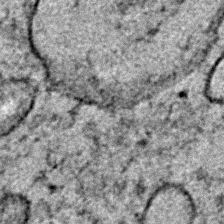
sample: Trachea